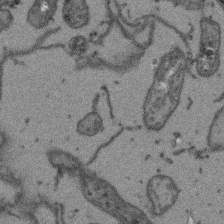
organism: Arabidopsis thaliana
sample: Root tip